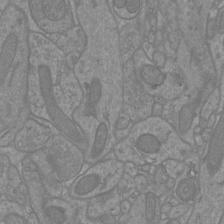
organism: Mouse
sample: Cortical neurons